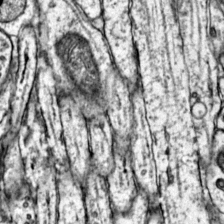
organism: Mouse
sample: Primary visual cortex